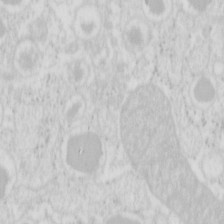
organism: Mouse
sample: Pancreas